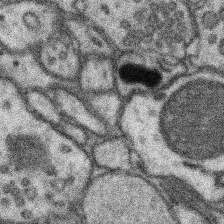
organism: Mouse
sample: Somatosensory cortex neuropil